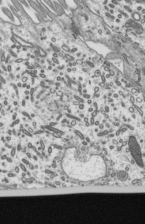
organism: Mouse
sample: Mouse epididymis efferent ductule cilia